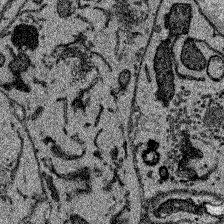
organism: Zebrafish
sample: Larval olfactory bulb